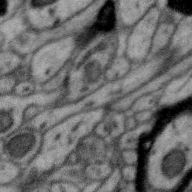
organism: Zebra finch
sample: Brain